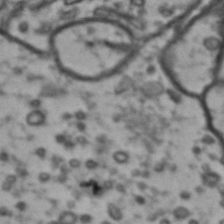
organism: Drosophila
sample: Brain